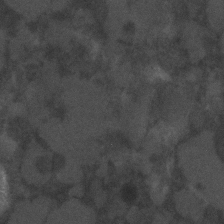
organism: C. elegans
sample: C. elegans embryo